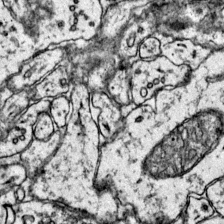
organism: Mouse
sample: Primary visual cortex